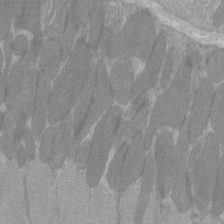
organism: C57BL Mouse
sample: Tibialis anterior muscle cell